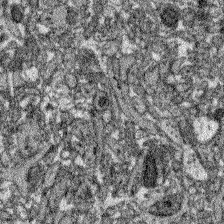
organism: Zebrafish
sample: Larval olfactory bulb